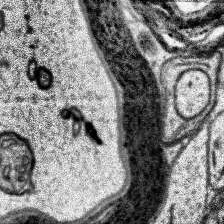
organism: Human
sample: Temporal Lobe